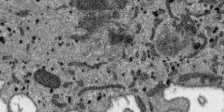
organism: Human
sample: Lung epithelial cells, uninfected (mock) control